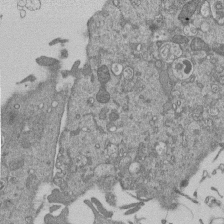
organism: Mouse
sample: ED-1 cell nuclei; centrioles